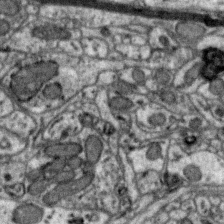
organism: Zebra finch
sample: Brain